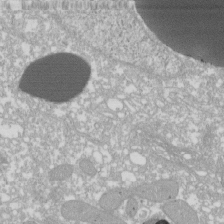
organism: Xenopus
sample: Cilia; centrioles in frog embryo cells